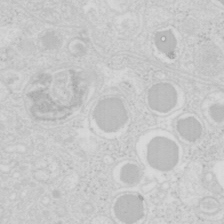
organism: Mouse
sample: Pancreas